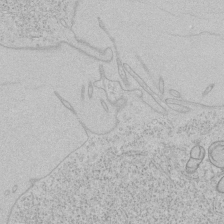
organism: Human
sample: Mitochondria in HCT116 cells